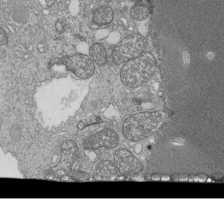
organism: Tetrahymena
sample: Cilia in tetrahymena